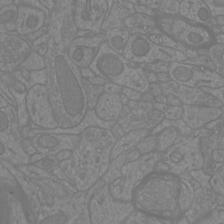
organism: Mouse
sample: Cortical neurons